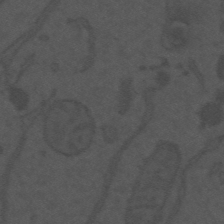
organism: Mouse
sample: Suprachiasmatic nucleus